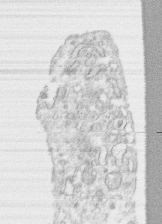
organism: Human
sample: CRL-1474